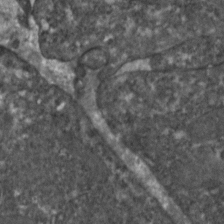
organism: Zebrafish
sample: Zebrafish embryo